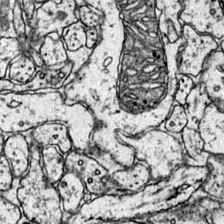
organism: Mouse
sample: Primary visual cortex